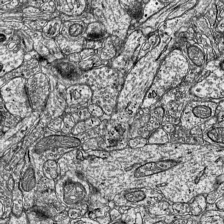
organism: Mouse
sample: Visual Cortex